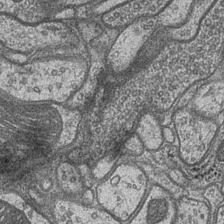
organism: Drosophila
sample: Optic medulla